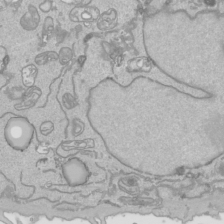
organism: Human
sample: Mitochondria in HCT116 cells